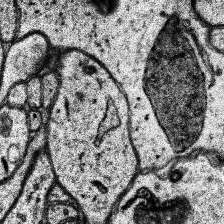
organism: Human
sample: Temporal Lobe